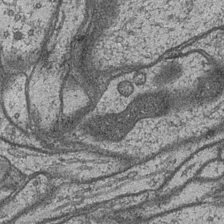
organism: Drosophila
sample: Optic medulla